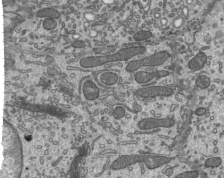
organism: Mouse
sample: Mouse epididymis efferent ductule cilia